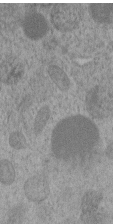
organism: C. elegans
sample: C. elegans embryo early stage